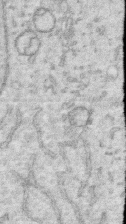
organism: Human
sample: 1205lu cells